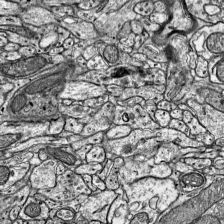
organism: Mouse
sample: Visual Cortex